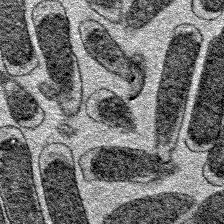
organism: E. coli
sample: E. Coli Bacteria